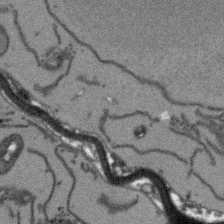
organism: Arabidopsis thaliana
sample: Root tip